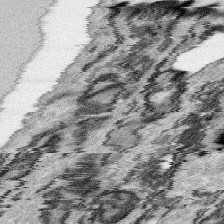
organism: Human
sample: HeLa cells